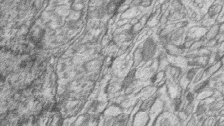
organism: Zebrafish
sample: synaptic ribbons in rod cells and cone cells